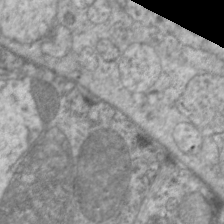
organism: C. elegans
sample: Pharynx